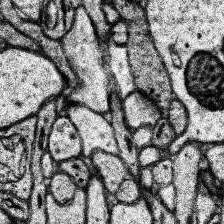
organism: Human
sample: Temporal Lobe